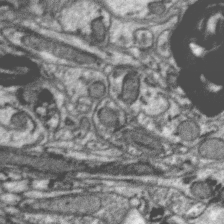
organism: Zebra finch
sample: Brain